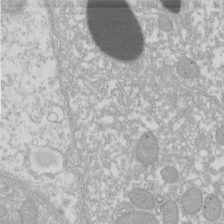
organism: Xenopus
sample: Cilia; centrioles in frog embryo cells